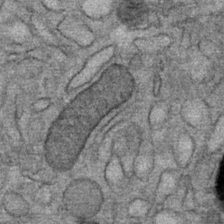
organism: Mouse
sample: Mouse Salivary gland